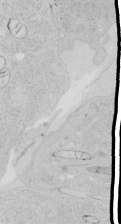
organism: Human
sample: Mitochondria in HCT116 cells